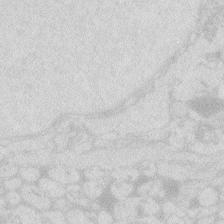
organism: Zebrafish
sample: Macrophage